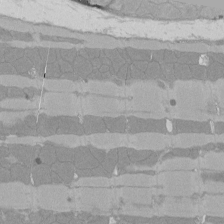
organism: Rat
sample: Left ventricle